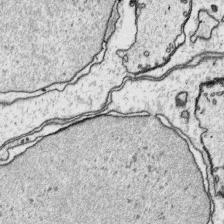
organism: Platynereis dumerilii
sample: Parapodia